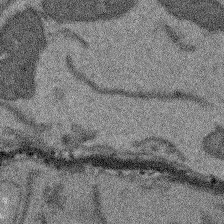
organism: Arabidopsis thaliana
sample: Root tip